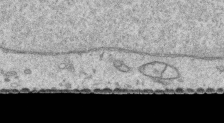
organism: Human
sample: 1205lu cells